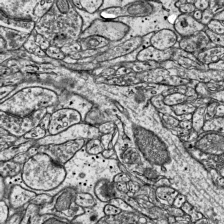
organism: Mouse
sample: Visual Cortex